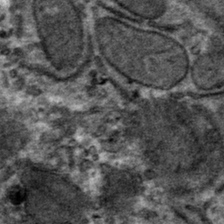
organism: Mouse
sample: Mouse hepatocytes